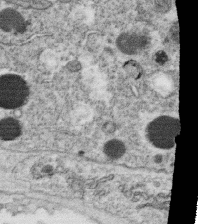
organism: C. elegans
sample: C. elegans oocyte; sperm cells